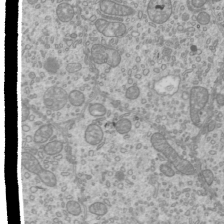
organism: Mouse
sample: Cilia; mouse epididymis